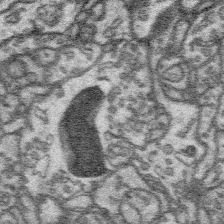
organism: Platynereis dumerilii